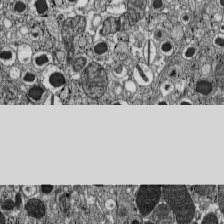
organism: C57BL Mouse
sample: Pancreatic islet